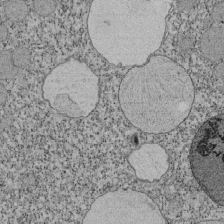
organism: Tetrahymena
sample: Cilia in tetrahymena